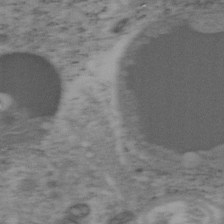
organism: Mouse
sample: OT-I killer T cells with ID8 ovarian cancer cells